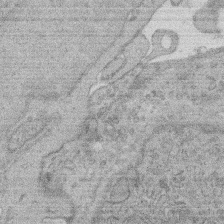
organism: Rat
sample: Salivary granule